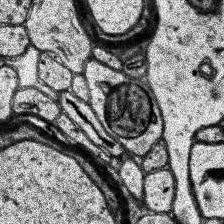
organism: Human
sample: Temporal Lobe